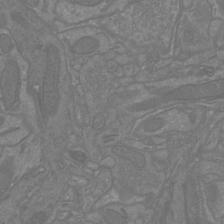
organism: Mouse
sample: Cortical neurons